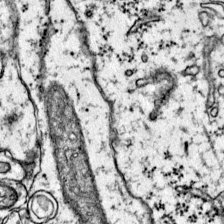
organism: Mouse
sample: Primary visual cortex